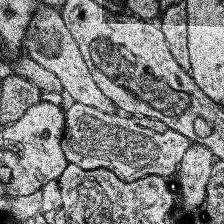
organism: Human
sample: Temporal Lobe